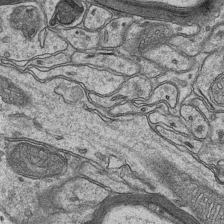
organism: Mouse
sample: CA1 Hippocampus